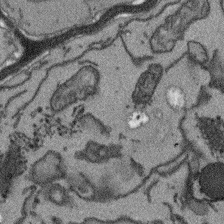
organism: Arabidopsis thaliana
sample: Root tip